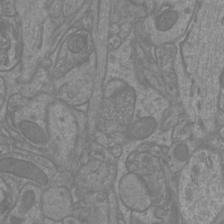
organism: Mouse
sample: Cortical neurons